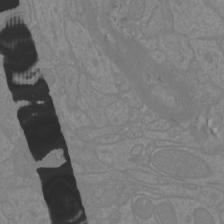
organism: Mouse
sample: Cortical neurons